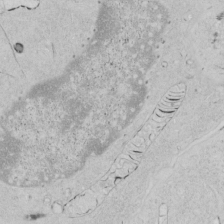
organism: Human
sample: Mitochondria in HCT116 cells